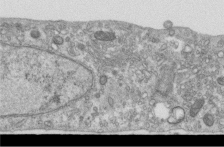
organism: Human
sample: Centriole in RPE cells